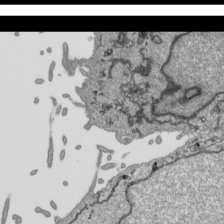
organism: Human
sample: Mitochondria in HCT116 cells